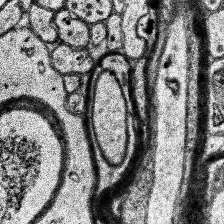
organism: Human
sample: Temporal Lobe